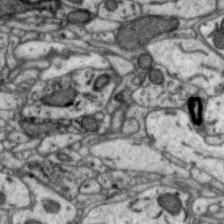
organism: Zebra finch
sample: Brain